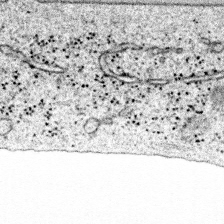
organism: Human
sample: HeLa cells